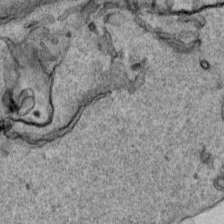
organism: Human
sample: Mitochondria in HCT116 cells